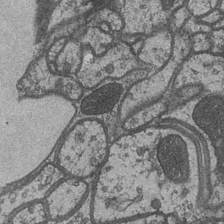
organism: Drosophila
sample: Optic medulla